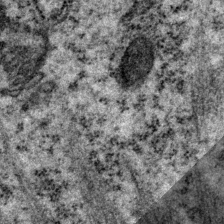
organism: P. pacificus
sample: Pharynx